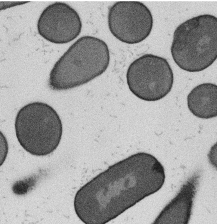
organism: B. subtilis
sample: Bacterial spore